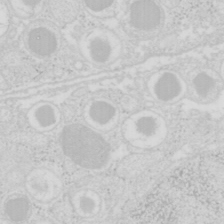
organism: Mouse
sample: Pancreas